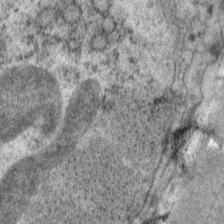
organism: P. pacificus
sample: Pharynx